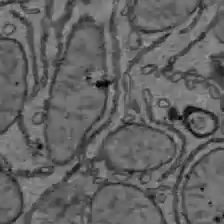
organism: C57BL Mouse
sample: Liver